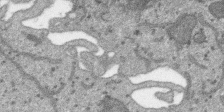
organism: Human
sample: Lung epithelial cells infected with SARS-CoV-2